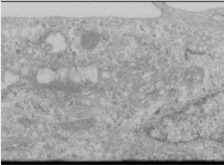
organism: Human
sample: Cilia; basal body in RPE cells